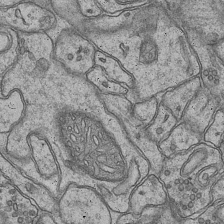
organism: Mouse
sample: CA1 Hippocampus